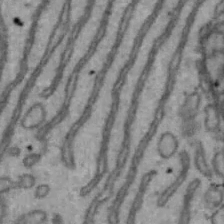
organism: Mouse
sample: Liver